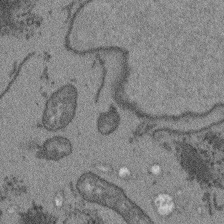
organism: Arabidopsis thaliana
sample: Root tip